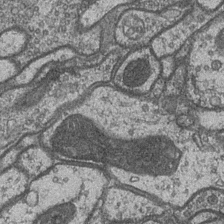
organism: Drosophila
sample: Optic medulla